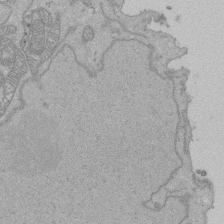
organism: Human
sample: Activated Jurkat CD4+ T cells